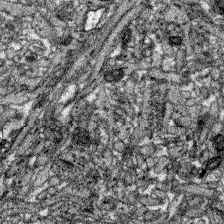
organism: Zebrafish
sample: Larval olfactory bulb